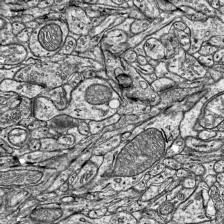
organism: Mouse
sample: Visual Cortex